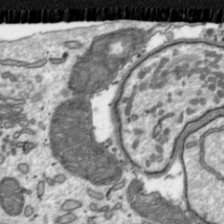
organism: Toxoplasma gondii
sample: Parasites in a vacuole inside a host cell